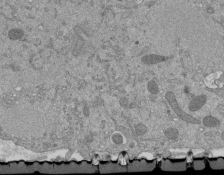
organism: Mouse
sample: ED-1 cell nuclei; centrioles